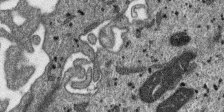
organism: Human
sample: Lung epithelial cells infected with SARS-CoV-2